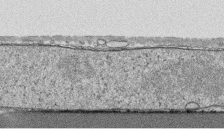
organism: Human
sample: CRL-1474